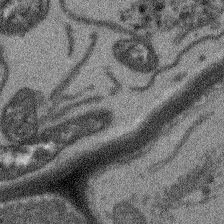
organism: Arabidopsis thaliana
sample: Root tip